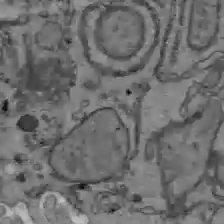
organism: C57BL Mouse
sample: Liver